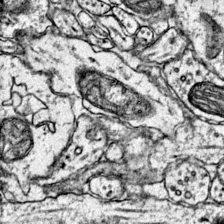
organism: Mouse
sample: Primary visual cortex